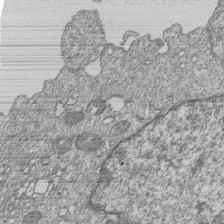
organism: Human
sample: MDA-MB-231 cells